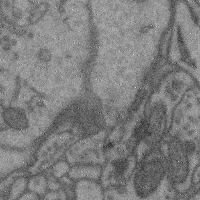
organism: Mouse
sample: Cerebral cortex